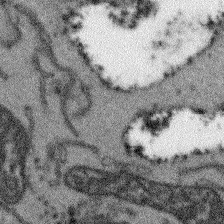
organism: Arabidopsis thaliana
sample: Root tip